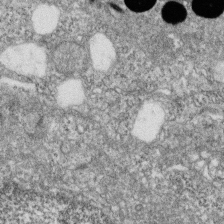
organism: Zebrafish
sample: Cilia; retinal pigment epithelium